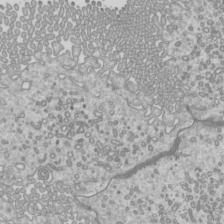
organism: Mouse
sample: Cilia; mouse epididymis